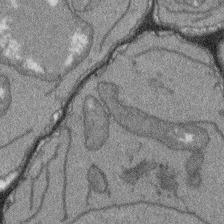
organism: Arabidopsis thaliana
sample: Root tip